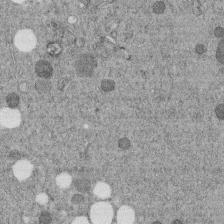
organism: C. elegans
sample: C. elegans embryo early stage